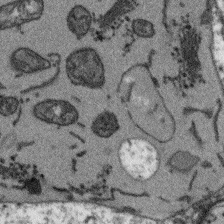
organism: Arabidopsis thaliana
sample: Root tip